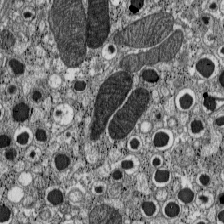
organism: C57BL Mouse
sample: Pancreatic islet